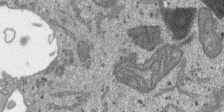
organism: Human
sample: Lung epithelial cells infected with SARS-CoV-2